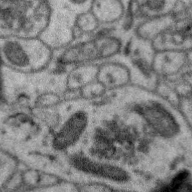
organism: Zebra finch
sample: Brain